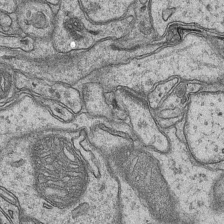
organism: Mouse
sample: CA1 Hippocampus